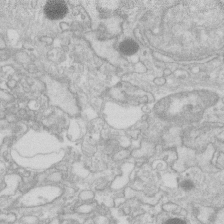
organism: Human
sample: Fibroblast cells